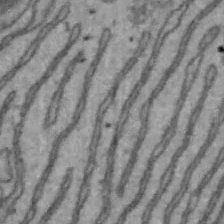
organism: Mouse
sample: Liver